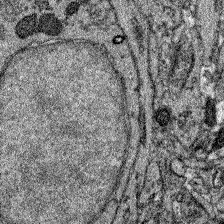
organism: Zebrafish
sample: Larval olfactory bulb